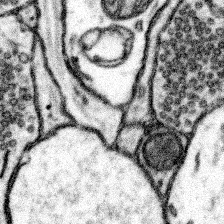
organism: Mouse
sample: Somatosensory cortex neuropil